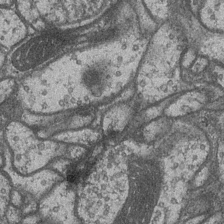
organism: Drosophila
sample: Optic medulla